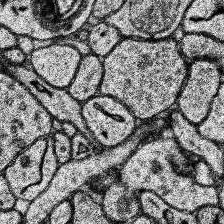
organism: Human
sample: Temporal Lobe